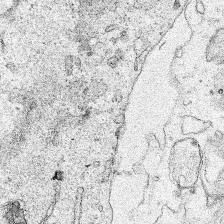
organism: Human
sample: Mitochondria in HCT116 cells